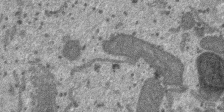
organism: Human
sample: Lung epithelial cells infected with SARS-CoV-2